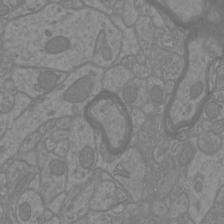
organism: Mouse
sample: Cortical neurons